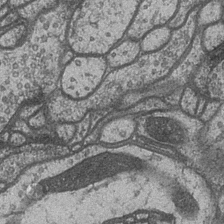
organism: Drosophila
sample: Optic medulla